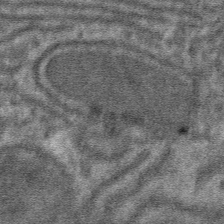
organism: Mouse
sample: Mouse hepatocytes